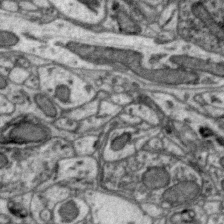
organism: Zebra finch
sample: Brain